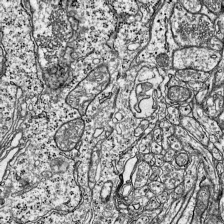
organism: Mouse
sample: Visual Cortex